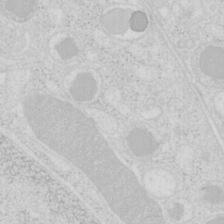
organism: Mouse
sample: Pancreas